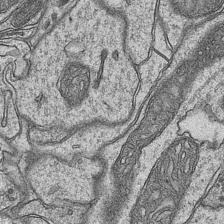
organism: Mouse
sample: CA1 Hippocampus